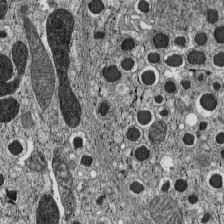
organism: C57BL Mouse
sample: Pancreatic islet